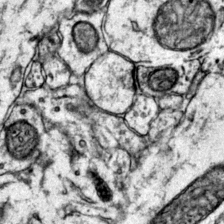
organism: Mouse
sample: Primary visual cortex